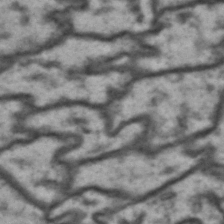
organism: Drosophila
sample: Brain